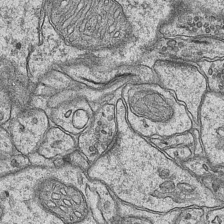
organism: Mouse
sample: CA1 Hippocampus